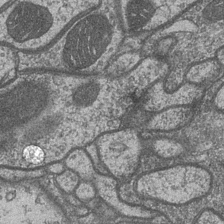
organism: Drosophila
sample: Optic medulla